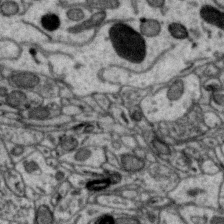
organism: Zebra finch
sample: Brain